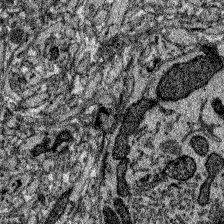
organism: Zebrafish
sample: Larval olfactory bulb